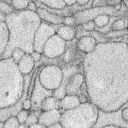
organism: Rabbit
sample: Retina